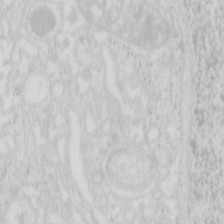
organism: Mouse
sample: Pancreas